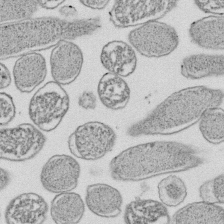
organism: E. coli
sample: Bacterial nucleoid